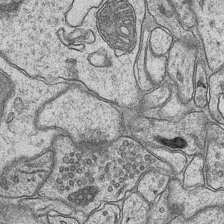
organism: Mouse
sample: CA1 Hippocampus